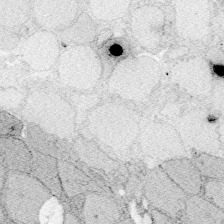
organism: Zebrafish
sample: Whole-Brain